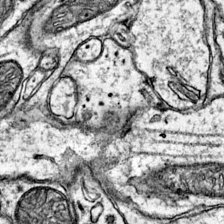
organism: Mouse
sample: Primary visual cortex